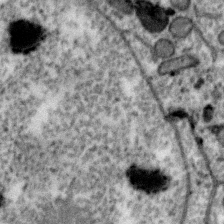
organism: Zebra finch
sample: Brain